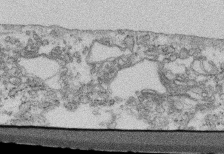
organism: Mouse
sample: Cilia; retinal pigment epithelium